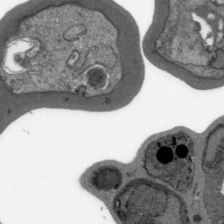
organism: Plasmodium falciparum